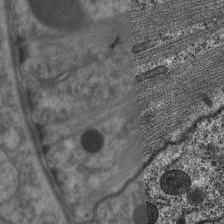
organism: C. elegans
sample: Pharynx